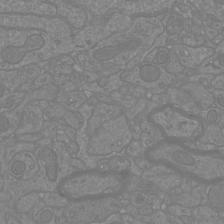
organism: Mouse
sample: Cortical neurons